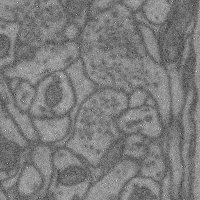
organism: Mouse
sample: Cerebral cortex